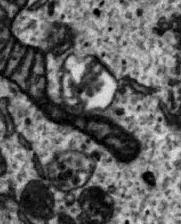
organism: Human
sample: HeLa cells